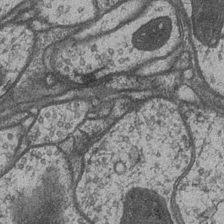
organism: Drosophila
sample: Optic medulla